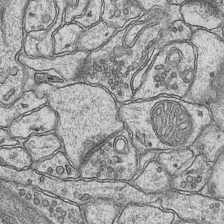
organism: Mouse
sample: CA1 Hippocampus